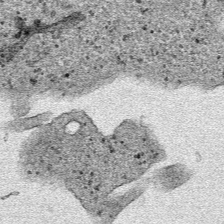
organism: Human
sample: Mitochondria in HCT116 cells